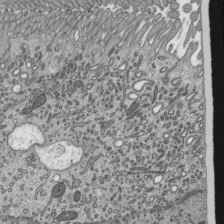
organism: Mouse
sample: Mouse epididymis efferent ductule cilia